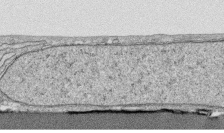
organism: Human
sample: CRL-1474